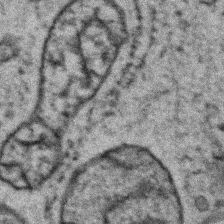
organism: Zebrafish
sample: Zebrafish embryo